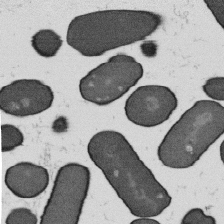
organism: B. subtilis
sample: Bacterial spore